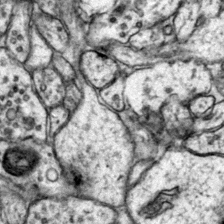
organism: Mouse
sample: Primary visual cortex